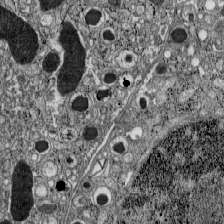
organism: C57BL Mouse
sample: Pancreatic islet